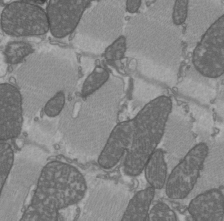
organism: C57BL Mouse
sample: Heart